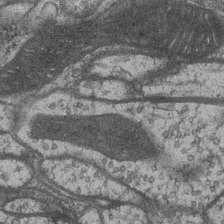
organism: Drosophila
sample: Optic medulla